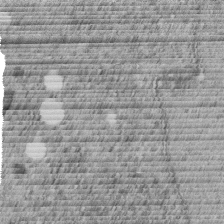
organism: C. elegans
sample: C. elegans embryo early stage